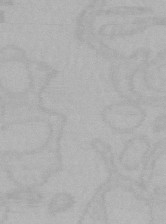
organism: Mouse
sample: Choroid plexus